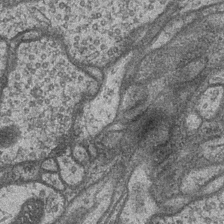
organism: Drosophila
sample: Optic medulla